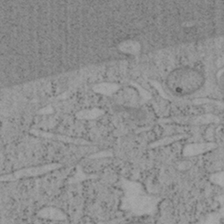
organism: Mouse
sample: OT-I killer T cells with ID8 ovarian cancer cells